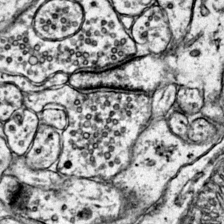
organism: Mouse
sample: Primary visual cortex